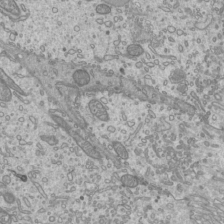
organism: Mouse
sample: Cilia; mouse epididymis